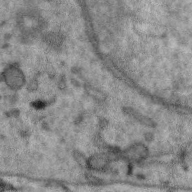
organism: Zebra finch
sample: Brain